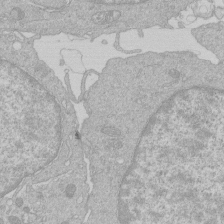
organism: Human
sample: Macrophage cells